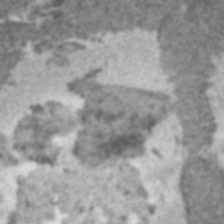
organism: C57BL Mouse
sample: Heart